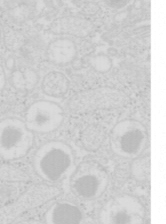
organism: Mouse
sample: Pancreas